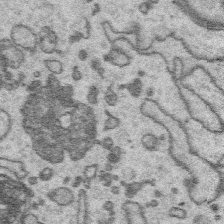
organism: Platynereis dumerilii